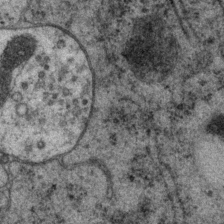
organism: P. pacificus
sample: Pharynx